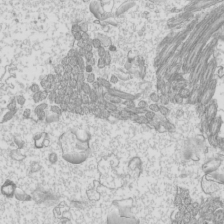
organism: Mouse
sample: Cilia; mouse epididymis